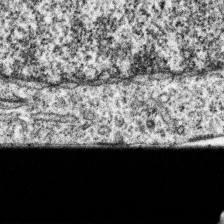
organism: Human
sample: HeLa cells